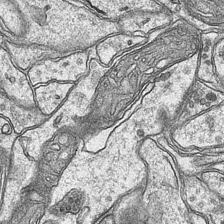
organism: Mouse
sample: CA1 Hippocampus